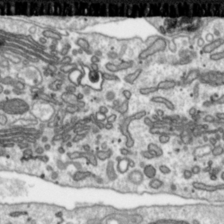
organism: Toxoplasma gondii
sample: Parasites in a vacuole inside a host cell